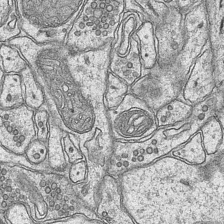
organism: Mouse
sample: CA1 Hippocampus